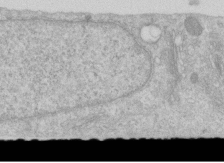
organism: Human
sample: Centriole in RPE cells